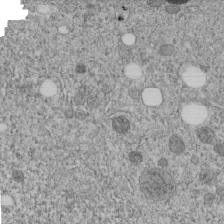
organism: C. elegans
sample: C. elegans embryo early stage